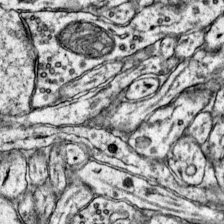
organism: Mouse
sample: Primary visual cortex